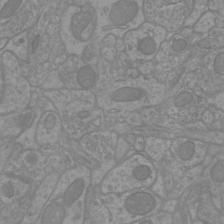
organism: Mouse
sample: Cortical neurons